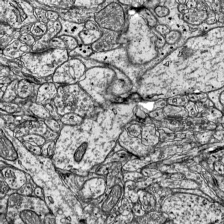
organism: Mouse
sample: Visual Cortex